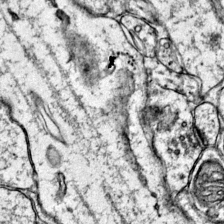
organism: Mouse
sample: Primary visual cortex